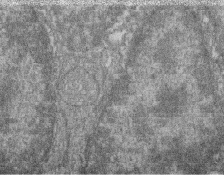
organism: Zebrafish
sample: Cilia; retinal pigment epithelium